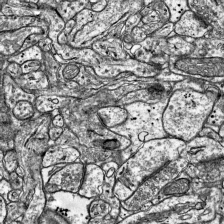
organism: Mouse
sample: Visual Cortex